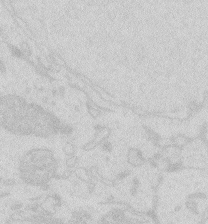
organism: Zebrafish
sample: Macrophage